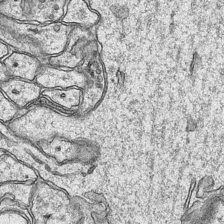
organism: Mouse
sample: CA1 Hippocampus